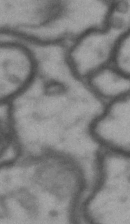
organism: Drosophila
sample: Brain